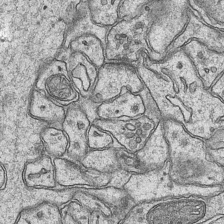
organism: Mouse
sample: CA1 Hippocampus